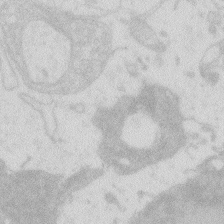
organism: Zebrafish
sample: Macrophage